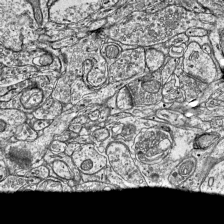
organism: Mouse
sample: Visual Cortex